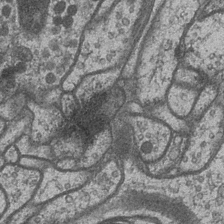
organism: Drosophila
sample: Optic medulla